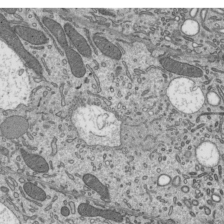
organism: Mouse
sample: Mouse epididymis efferent ductule cilia